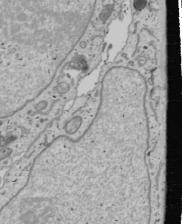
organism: Human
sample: Mitochondria in U2OS cells